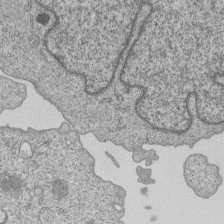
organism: Human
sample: MDA-MB-231 cells